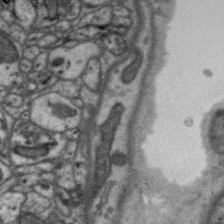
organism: Zebra finch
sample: Brain